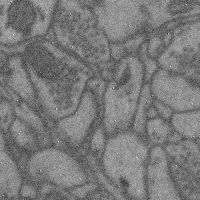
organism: Mouse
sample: Cerebral cortex